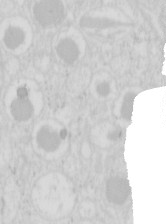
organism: Mouse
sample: Pancreas